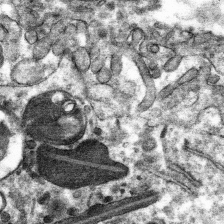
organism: Mouse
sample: Mouse hepatocytes